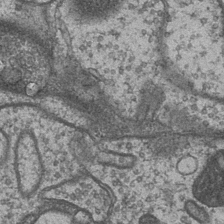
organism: Drosophila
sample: Optic medulla